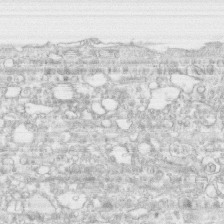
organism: Human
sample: CRL-1474